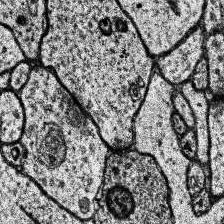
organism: Human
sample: Temporal Lobe